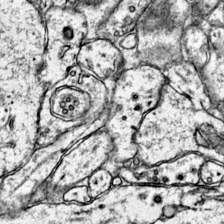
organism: Mouse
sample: Primary visual cortex